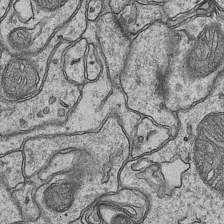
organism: Mouse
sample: CA1 Hippocampus